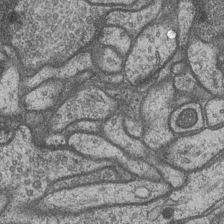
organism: Drosophila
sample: Optic medulla